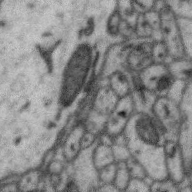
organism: Zebra finch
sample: Brain